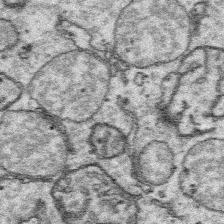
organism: Platynereis dumerilii